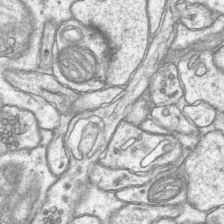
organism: Mouse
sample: CA1 Hippocampus